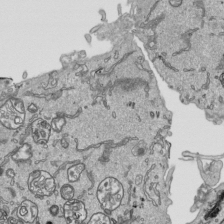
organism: Human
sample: Mitochondria in HCT116 cells